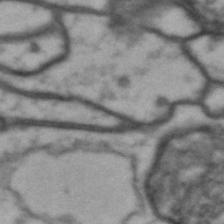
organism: Drosophila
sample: Brain